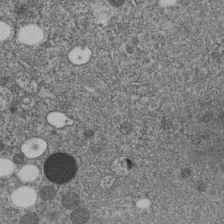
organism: C. elegans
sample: C. elegans embryo early stage